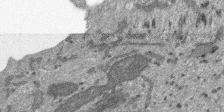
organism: Human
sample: Lung epithelial cells infected with SARS-CoV-2